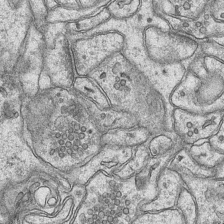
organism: Mouse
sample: CA1 Hippocampus